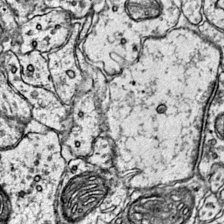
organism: Mouse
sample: Primary visual cortex